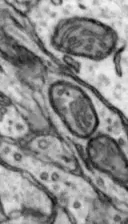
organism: Mouse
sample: Nucleus accumbens